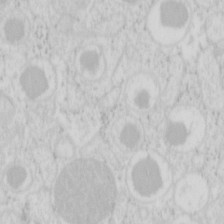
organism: Mouse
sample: Pancreas